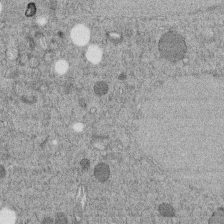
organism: C. elegans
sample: C. elegans embryo early stage